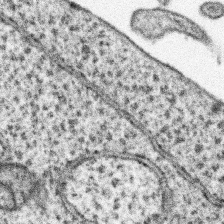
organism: Human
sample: HeLa cells